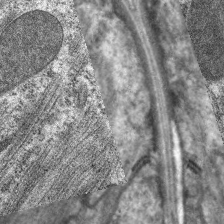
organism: C. elegans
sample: Pharynx